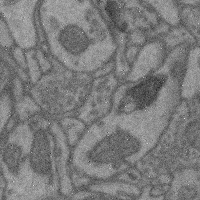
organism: Mouse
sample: Cerebral cortex